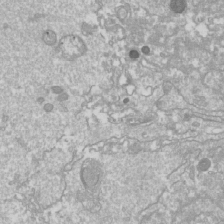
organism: Drosophila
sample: Cell division; meiosis; drosophila spermatocytes